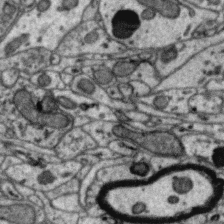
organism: Zebra finch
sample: Brain